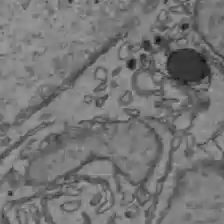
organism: C57BL Mouse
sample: Liver